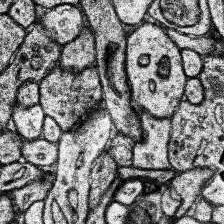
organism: Human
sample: Temporal Lobe